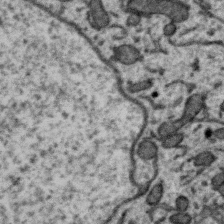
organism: Zebra finch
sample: Brain